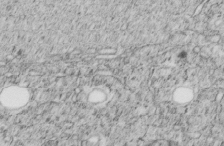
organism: C. elegans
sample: C. elegans embryo early stage